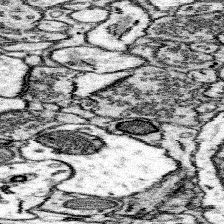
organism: Mouse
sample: Somatosensory cortex neuropil